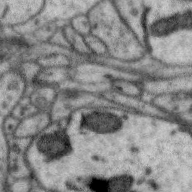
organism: Zebra finch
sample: Brain